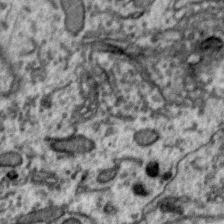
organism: Zebra finch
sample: Brain